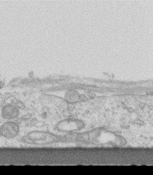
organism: Mouse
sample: Centriole in ependymal cells